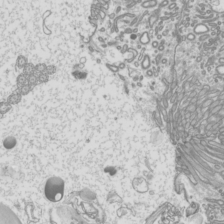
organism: Mouse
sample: Cilia; mouse epididymis